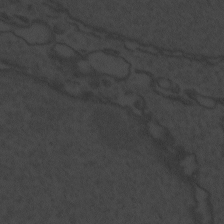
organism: Zebrafish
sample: Macrophage infected with Toxoplasma gondii